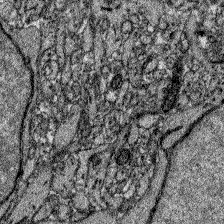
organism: Zebrafish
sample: Larval olfactory bulb